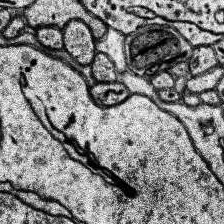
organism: Human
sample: Temporal Lobe